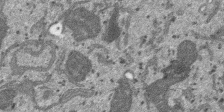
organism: Human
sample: Lung epithelial cells infected with SARS-CoV-2